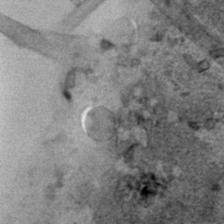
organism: Human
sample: Mitochondria in HCT116 cells